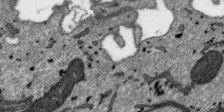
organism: Human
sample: Lung epithelial cells, uninfected (mock) control